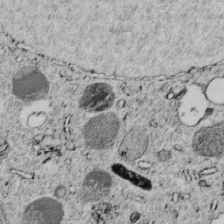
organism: C. elegans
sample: C. elegans embryo early stage